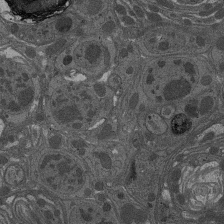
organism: Drosophila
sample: Antenna